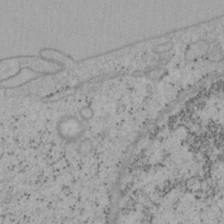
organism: Human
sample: HeLa cells